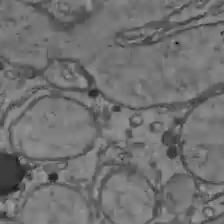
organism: C57BL Mouse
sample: Liver